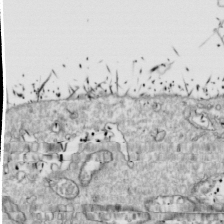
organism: Drosophila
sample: Cell division; meiosis; drosophila spermatocytes